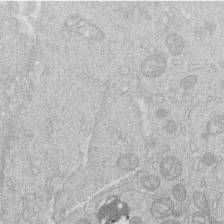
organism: Human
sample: Macrophage cells